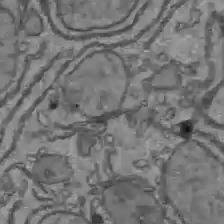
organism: C57BL Mouse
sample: Liver